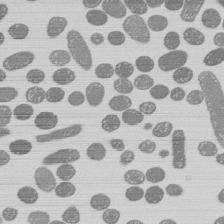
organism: E. coli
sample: Bacterial nucleoid